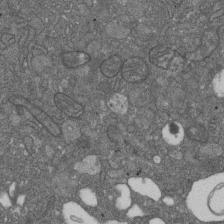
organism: Drosophila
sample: Nephrocyte